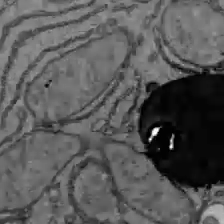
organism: C57BL Mouse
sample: Liver